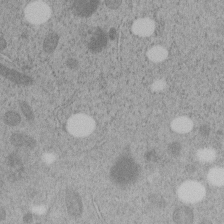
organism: C. elegans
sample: C. elegans embryo early stage